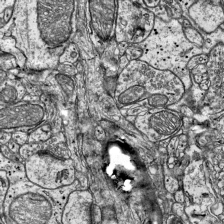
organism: Mouse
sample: Visual Cortex